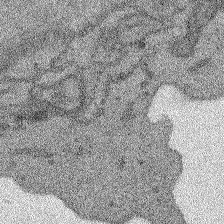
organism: Human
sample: HeLa cells